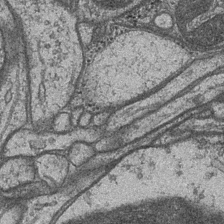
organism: Drosophila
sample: Optic medulla